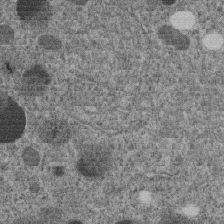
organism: C. elegans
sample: C. elegans embryo early stage